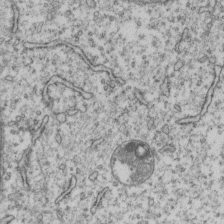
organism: Human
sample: MDA-MB-231 cells